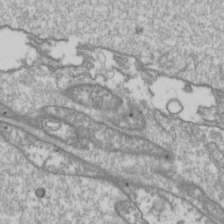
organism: Drosophila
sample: Cell division; meiosis; drosophila spermatocytes